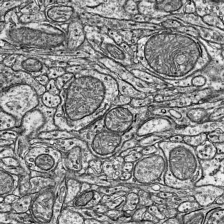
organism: Mouse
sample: Visual Cortex